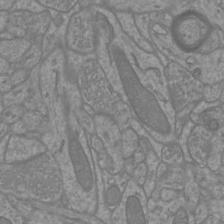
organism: Mouse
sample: Cortical neurons